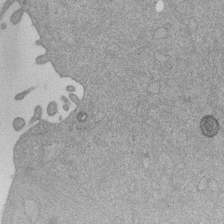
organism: Mouse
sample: Dividing mouse embryo 1 cell stage